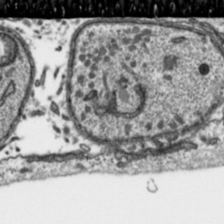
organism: Toxoplasma gondii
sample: Parasites in a vacuole inside a host cell